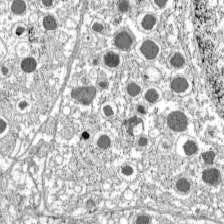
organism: C57BL Mouse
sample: Pancreatic islet